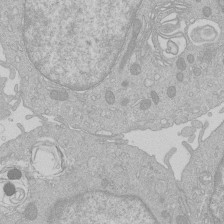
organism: Human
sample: Macrophage cells